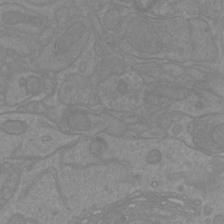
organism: Mouse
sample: Cortical neurons